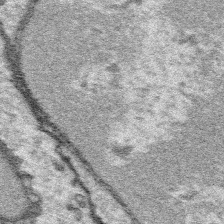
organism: Platynereis dumerilii